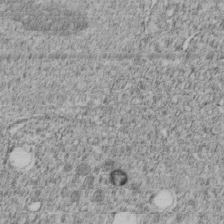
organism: C. elegans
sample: C. elegans embryo early stage